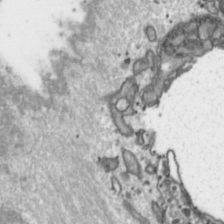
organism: Toxoplasma gondii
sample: Parasites in a vacuole inside a host cell